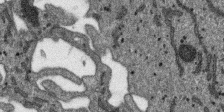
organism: Human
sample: Lung epithelial cells infected with SARS-CoV-2